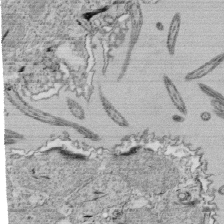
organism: Tetrahymena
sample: Cilia in tetrahymena